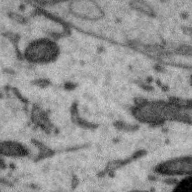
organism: Zebra finch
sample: Brain